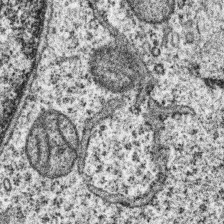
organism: Human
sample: HeLa cells